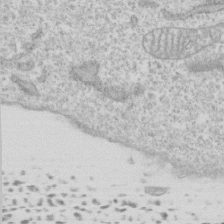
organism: Human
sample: CRL-1474